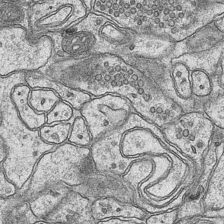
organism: Mouse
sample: CA1 Hippocampus